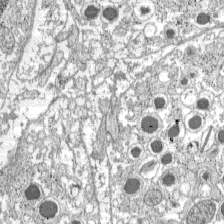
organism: C57BL Mouse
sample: Pancreatic islet